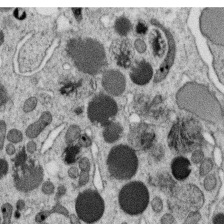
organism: C. elegans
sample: C. elegans oocyte; sperm cells